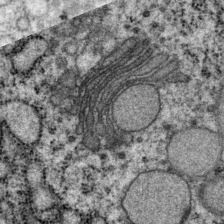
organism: P. pacificus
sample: Pharynx